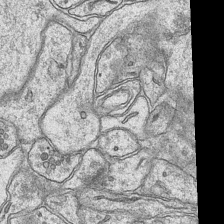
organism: Mouse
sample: CA1 Hippocampus